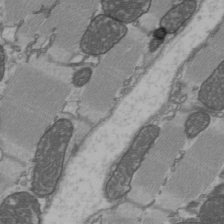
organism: C57BL Mouse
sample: Heart